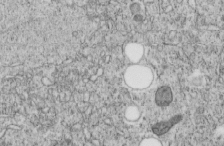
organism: C. elegans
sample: C. elegans embryo early stage